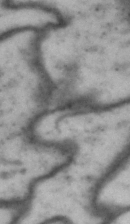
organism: Drosophila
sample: Brain